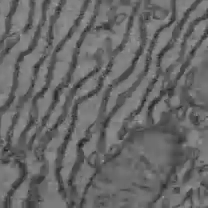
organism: C57BL Mouse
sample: Liver